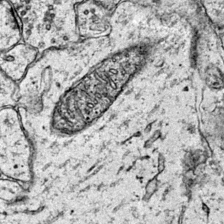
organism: Mouse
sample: Primary visual cortex